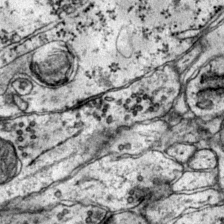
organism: Mouse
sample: Primary visual cortex